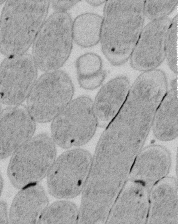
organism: E. coli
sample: Bacterial nucleoid